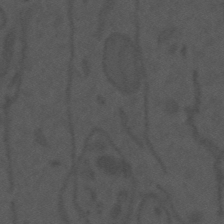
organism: Mouse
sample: Suprachiasmatic nucleus